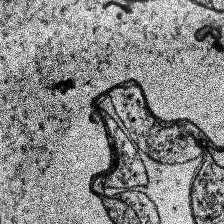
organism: Human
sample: Temporal Lobe